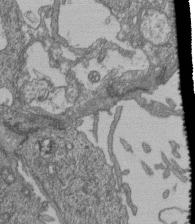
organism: Human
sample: Retinal organoid Rod and Cone cells